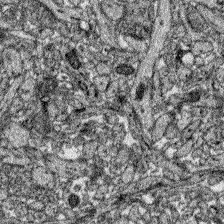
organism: Zebrafish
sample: Larval olfactory bulb